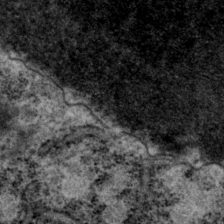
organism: P. pacificus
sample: Pharynx